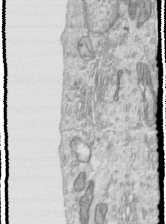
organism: Human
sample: Centriole in RPE cells